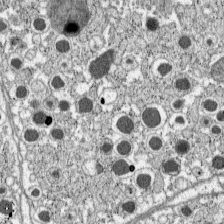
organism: C57BL Mouse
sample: Pancreatic islet